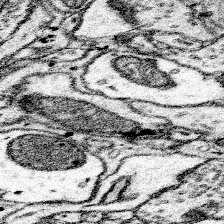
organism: Mouse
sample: Somatosensory cortex neuropil